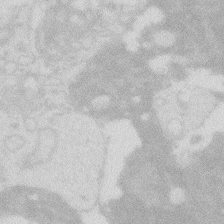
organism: Zebrafish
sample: Macrophage